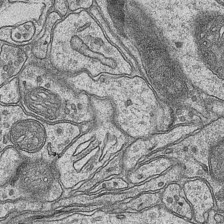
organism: Mouse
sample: CA1 Hippocampus